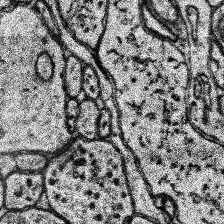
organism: Human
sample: Temporal Lobe